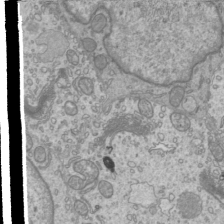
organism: Mouse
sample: Cilia; mouse epididymis